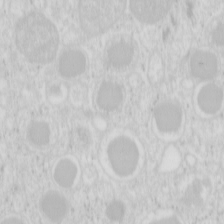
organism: Mouse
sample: Pancreas